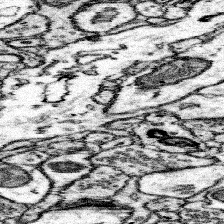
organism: Mouse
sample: Somatosensory cortex neuropil